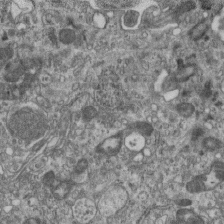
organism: Mouse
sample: Centriole in ependymal cells